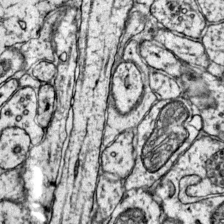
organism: Mouse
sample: Primary visual cortex